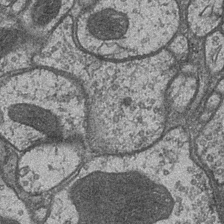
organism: Drosophila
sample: Optic medulla